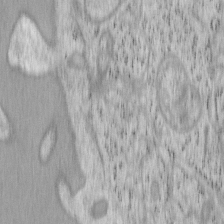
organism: Human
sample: HeLa cells